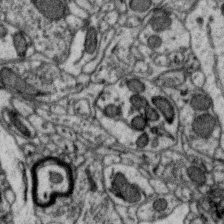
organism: Zebra finch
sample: Brain